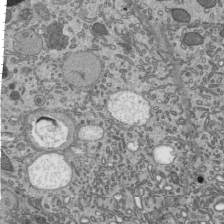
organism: Mouse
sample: Mouse epididymis efferent ductule cilia